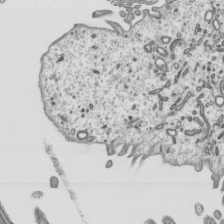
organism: Mouse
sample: Mouse epididymis efferent ductule cilia